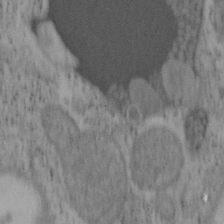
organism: Mouse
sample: OT-I killer T cells with ID8 ovarian cancer cells